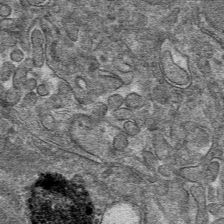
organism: Mouse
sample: Mouse hepatocytes